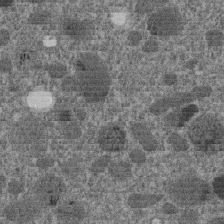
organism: C. elegans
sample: C. elegans embryo early stage